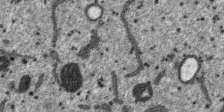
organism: Human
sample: Lung epithelial cells infected with SARS-CoV-2